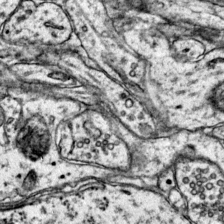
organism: Mouse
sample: Primary visual cortex